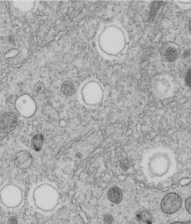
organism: C. elegans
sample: C. elegans embryo early stage